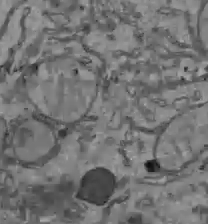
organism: C57BL Mouse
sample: Liver